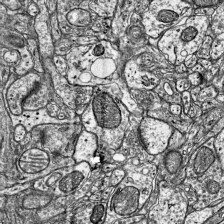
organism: Mouse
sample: Visual Cortex